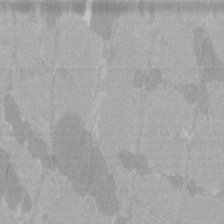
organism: C57BL Mouse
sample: Tibialis anterior muscle cell